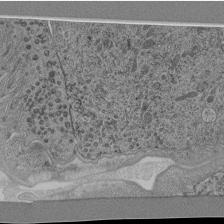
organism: C. elegans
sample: C. elegans pharynx